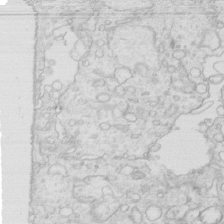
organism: Mouse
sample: Multiciliated cells